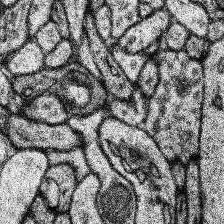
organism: Human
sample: Temporal Lobe